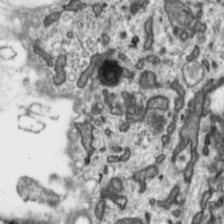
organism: Toxoplasma gondii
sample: Parasites in a vacuole inside a host cell